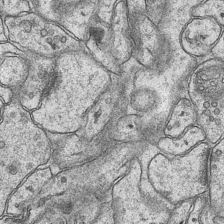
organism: Mouse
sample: CA1 Hippocampus